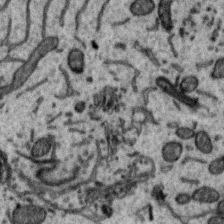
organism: Zebra finch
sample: Brain